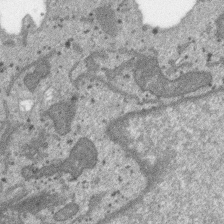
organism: Human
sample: Lung epithelial cells infected with SARS-CoV-2